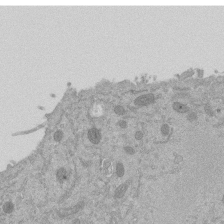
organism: Mouse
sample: ED-1 cell nuclei; centrioles